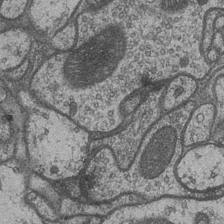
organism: Drosophila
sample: Optic medulla